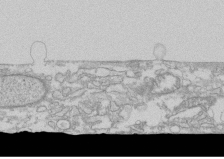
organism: Human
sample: CRL-1474